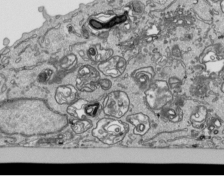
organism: Human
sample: Mitochondria in HCT116 cells